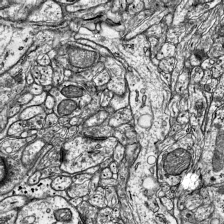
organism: Mouse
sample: Visual Cortex